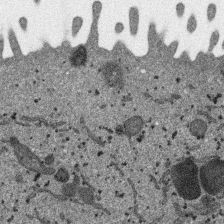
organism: Human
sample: Lung epithelial cells infected with SARS-CoV-2